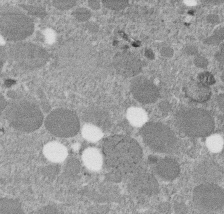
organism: C. elegans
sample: C. elegans embryo early stage